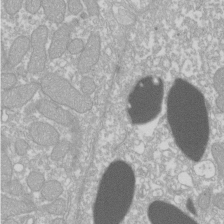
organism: Xenopus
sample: Cilia; centrioles in frog embryo cells